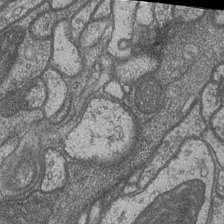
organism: Drosophila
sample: Optic medulla